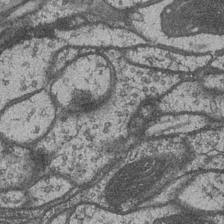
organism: Drosophila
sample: Optic medulla